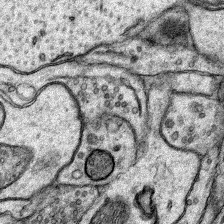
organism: Rat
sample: Hippocampus